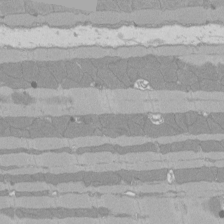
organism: Rat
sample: Left ventricle